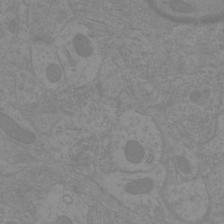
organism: Mouse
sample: Cortical neurons